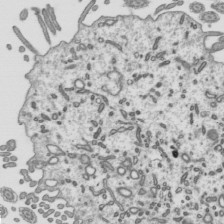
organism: Mouse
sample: Mouse epididymis efferent ductule cilia